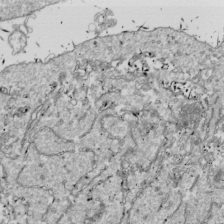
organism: Drosophila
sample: Cell division; meiosis; drosophila spermatocytes